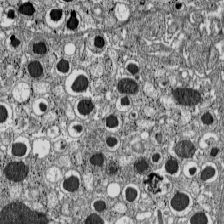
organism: C57BL Mouse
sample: Pancreatic islet